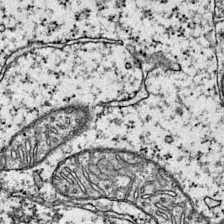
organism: Mouse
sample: Primary visual cortex